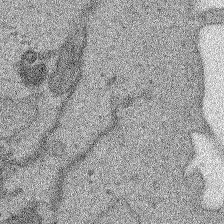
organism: Human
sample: HeLa cells